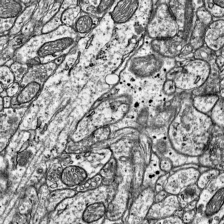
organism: Mouse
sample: Visual Cortex